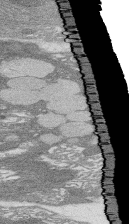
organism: Rat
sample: Salivary granule